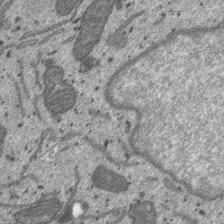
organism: Human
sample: Lung epithelial cells infected with SARS-CoV-2